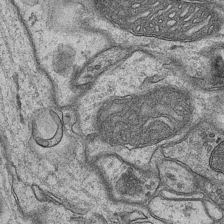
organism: Mouse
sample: CA1 Hippocampus